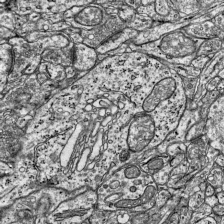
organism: Mouse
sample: Visual Cortex